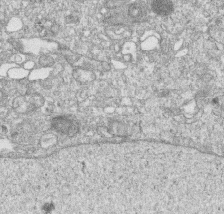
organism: Human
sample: HeLa cell HIV synapse